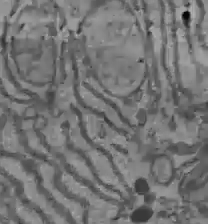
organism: C57BL Mouse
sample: Liver